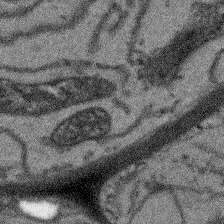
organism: Arabidopsis thaliana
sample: Root tip